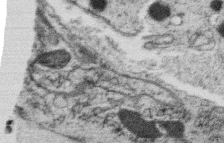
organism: C. elegans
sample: C. elegans oocyte; sperm cells